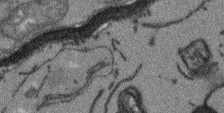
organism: Arabidopsis thaliana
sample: Root tip